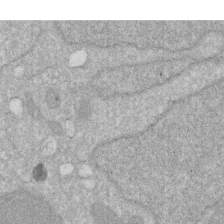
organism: Human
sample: HIV infected U937 cells